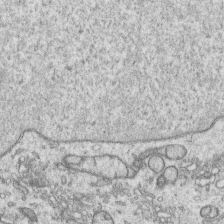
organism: Human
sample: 1205lu cells